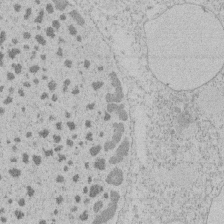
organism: Tetrahymena